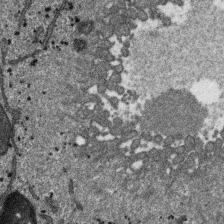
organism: Human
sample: Lung epithelial cells infected with SARS-CoV-2